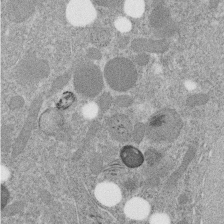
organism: C. elegans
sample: C. elegans embryo early stage